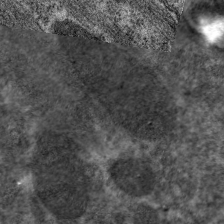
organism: C. elegans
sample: Pharynx